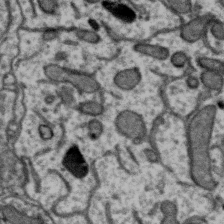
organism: Zebra finch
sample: Brain